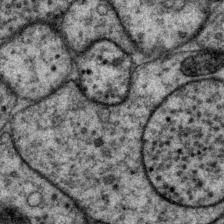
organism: P. pacificus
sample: Pharynx